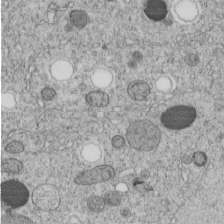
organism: C. elegans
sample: C. elegans embryo early stage